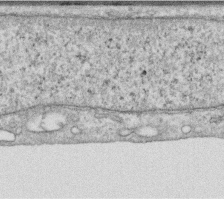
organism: Human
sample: Centriole in RPE cells